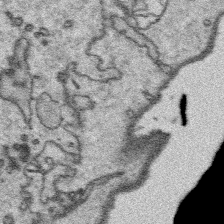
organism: Platynereis dumerilii